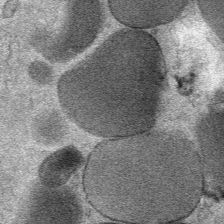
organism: Mouse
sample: Mouse Salivary gland